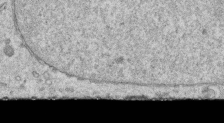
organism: Human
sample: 1205lu cells